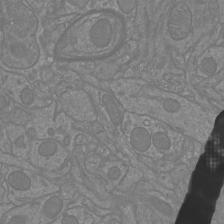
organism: Mouse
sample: Cortical neurons